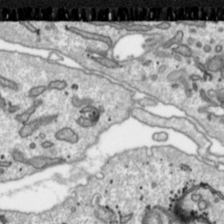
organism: Toxoplasma gondii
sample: Parasites in a vacuole inside a host cell